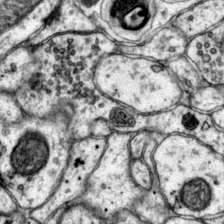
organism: Mouse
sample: Primary visual cortex